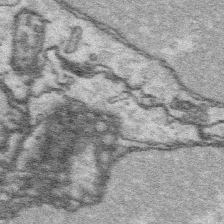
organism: Platynereis dumerilii